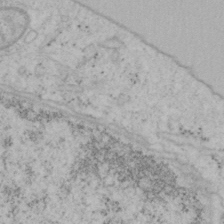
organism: Human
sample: HeLa cells